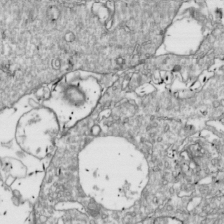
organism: Drosophila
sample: Cell division; meiosis; drosophila spermatocytes